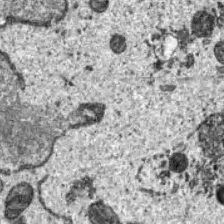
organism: Human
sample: HeLa cells